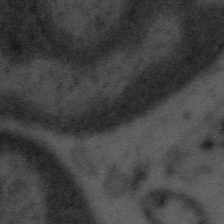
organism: Tuwongella immobilis